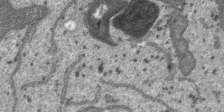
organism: Human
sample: Lung epithelial cells infected with SARS-CoV-2